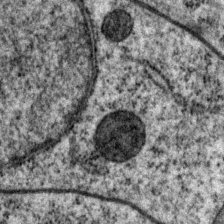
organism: P. pacificus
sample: Pharynx